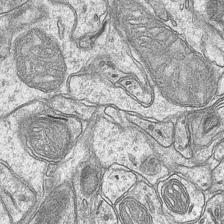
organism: Mouse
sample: CA1 Hippocampus